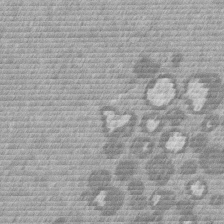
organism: Mouse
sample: Dividing mouse embryo 1 cell stage